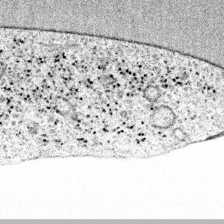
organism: Human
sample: HeLa cells